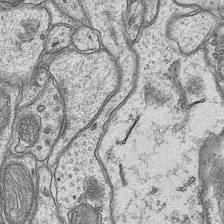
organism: Mouse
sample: CA1 Hippocampus